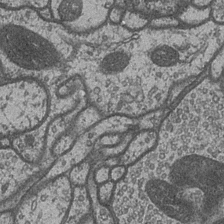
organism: Drosophila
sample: Optic medulla